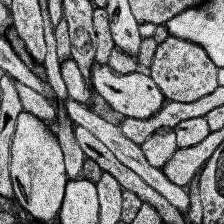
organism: Human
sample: Temporal Lobe